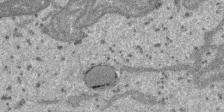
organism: Human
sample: Lung epithelial cells infected with SARS-CoV-2